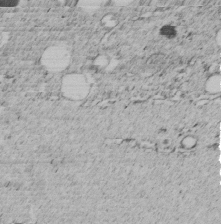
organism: C. elegans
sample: C. elegans embryo early stage